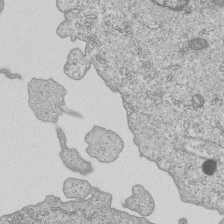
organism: Human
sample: MDA-MB-231 cells